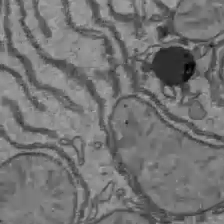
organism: C57BL Mouse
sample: Liver